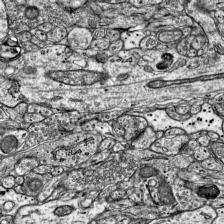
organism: Mouse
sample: Visual Cortex